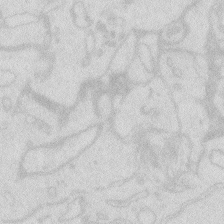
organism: Zebrafish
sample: Macrophage